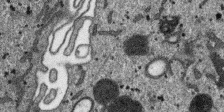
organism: Human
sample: Lung epithelial cells infected with SARS-CoV-2